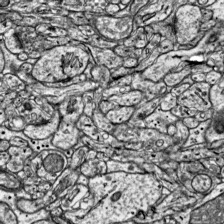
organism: Mouse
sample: Visual Cortex